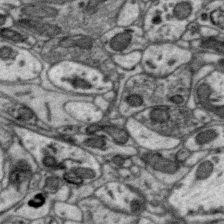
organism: Zebra finch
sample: Brain